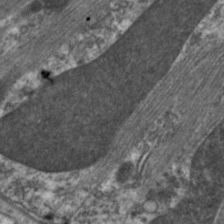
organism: C. elegans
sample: Pharynx